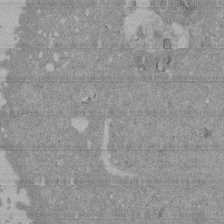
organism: Mouse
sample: ED-1 cell nuclei; centrioles